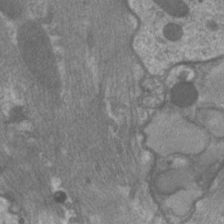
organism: C. elegans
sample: Pharynx